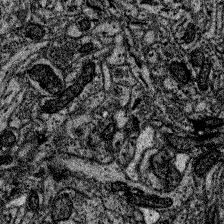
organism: Zebrafish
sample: Larval olfactory bulb